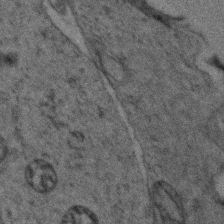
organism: Zebrafish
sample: Zebrafish embryo